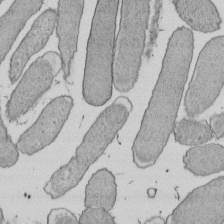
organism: E. coli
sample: Bacterial nucleoid